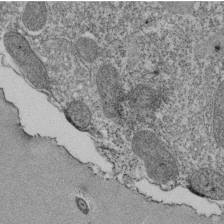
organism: Tetrahymena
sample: Cilia in tetrahymena